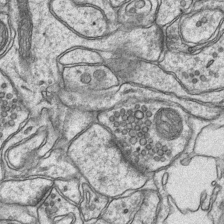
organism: Mouse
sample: CA1 Hippocampus